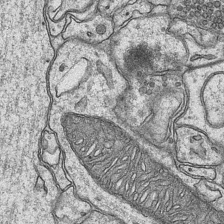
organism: Mouse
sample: CA1 Hippocampus